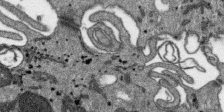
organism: Human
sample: Lung epithelial cells, uninfected (mock) control